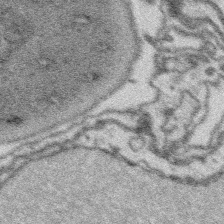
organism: Platynereis dumerilii